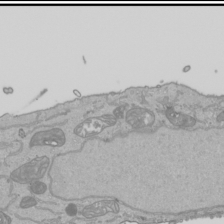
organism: Human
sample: Mitochondria in HCT116 cells